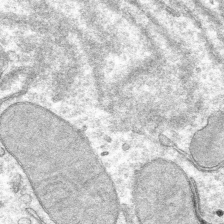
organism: Mouse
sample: Mouse hepatocytes